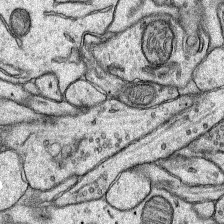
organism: Rat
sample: Hippocampus